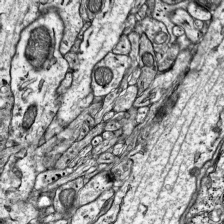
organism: Mouse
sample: Visual Cortex